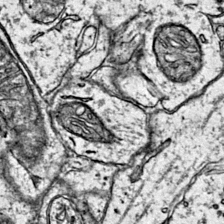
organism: Mouse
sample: Primary visual cortex